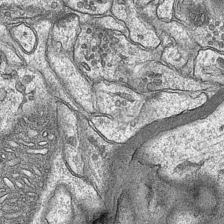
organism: Mouse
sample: CA1 Hippocampus